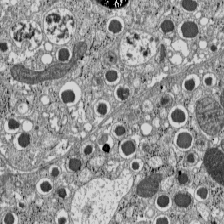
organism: C57BL Mouse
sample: Pancreatic islet